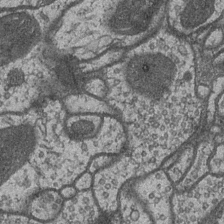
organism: Drosophila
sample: Optic medulla